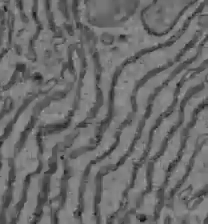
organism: C57BL Mouse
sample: Liver